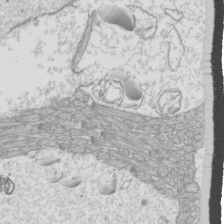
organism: Mouse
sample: Cilia; mouse epididymis